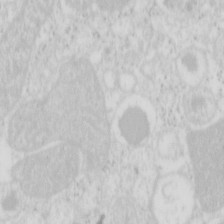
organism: Mouse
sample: Pancreas